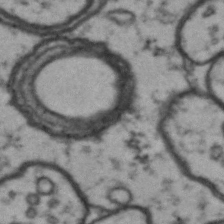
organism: Drosophila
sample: Brain